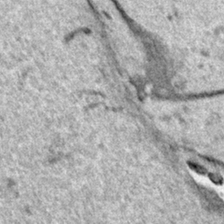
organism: Human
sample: Mitochondria in HCT116 cells